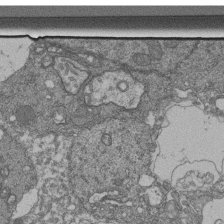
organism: Human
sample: Retinal organoid Rod and Cone cells